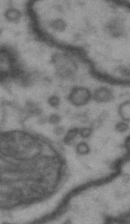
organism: Drosophila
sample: Brain